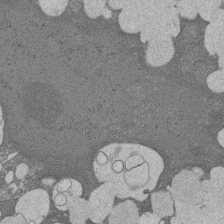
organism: Rat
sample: Salivary granule